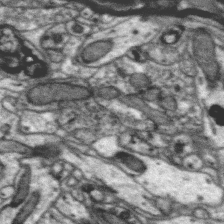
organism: Zebra finch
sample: Brain